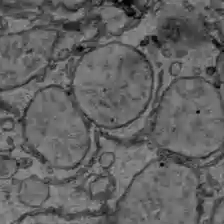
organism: C57BL Mouse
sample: Liver